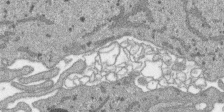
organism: Human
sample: Lung epithelial cells infected with SARS-CoV-2